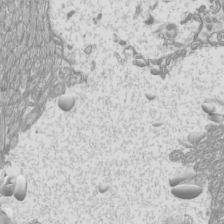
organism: Mouse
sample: Cilia; mouse epididymis